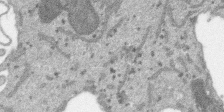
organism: Human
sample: Lung epithelial cells infected with SARS-CoV-2